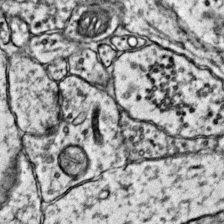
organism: Mouse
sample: Primary visual cortex